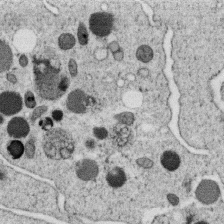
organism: C. elegans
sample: C. elegans oocyte; sperm cells